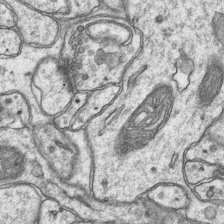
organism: Mouse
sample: CA1 Hippocampus